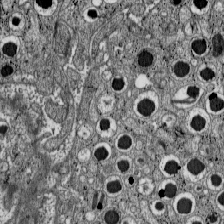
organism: C57BL Mouse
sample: Pancreatic islet